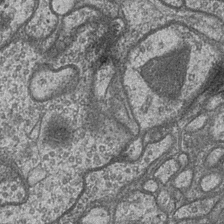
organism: Drosophila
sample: Optic medulla